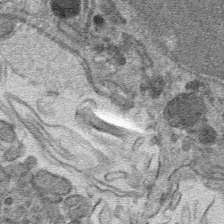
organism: Mouse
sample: Mouse hepatocytes